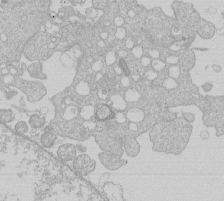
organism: Human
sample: Macrophage cells